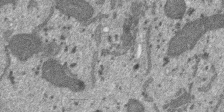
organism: Human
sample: Lung epithelial cells infected with SARS-CoV-2